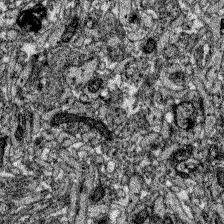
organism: Zebrafish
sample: Larval olfactory bulb